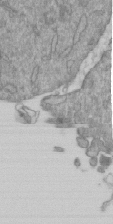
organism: Mouse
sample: ED-1 cell nuclei; centrioles